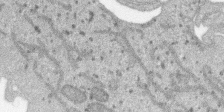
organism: Human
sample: Lung epithelial cells infected with SARS-CoV-2